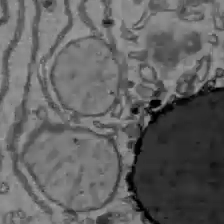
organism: C57BL Mouse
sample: Liver